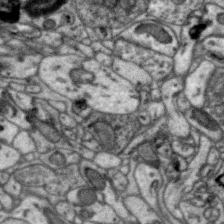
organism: Zebra finch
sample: Brain